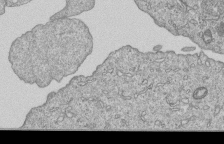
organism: Human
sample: MDA-MB-231 cells